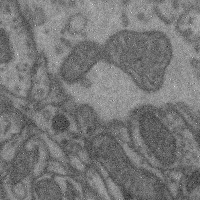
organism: Mouse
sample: Cerebral cortex